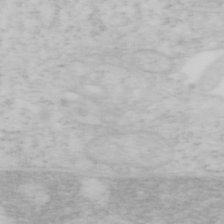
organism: Mouse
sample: OT-I killer T cells with ID8 ovarian cancer cells